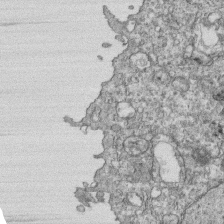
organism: Human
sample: HeLa cell HIV synapse